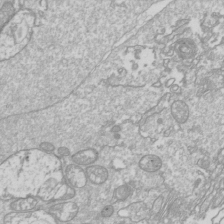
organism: Drosophila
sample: Cell division; meiosis; drosophila spermatocytes